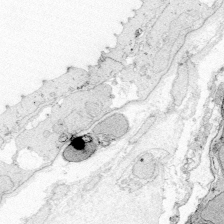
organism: Zebrafish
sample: Whole-Brain